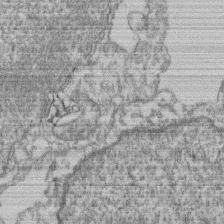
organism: Mouse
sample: T cell stromal cell synapse